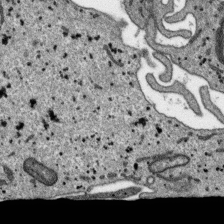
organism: Human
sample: Lung epithelial cells, uninfected (mock) control